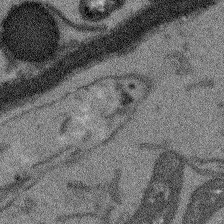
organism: Arabidopsis thaliana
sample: Root tip